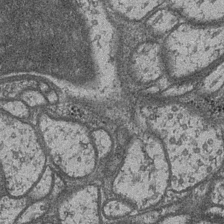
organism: Drosophila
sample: Optic medulla